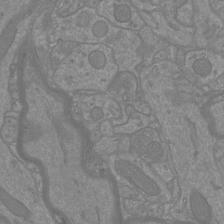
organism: Mouse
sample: Cortical neurons